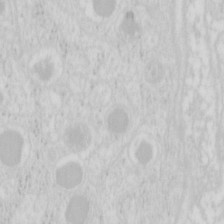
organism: Mouse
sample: Pancreas